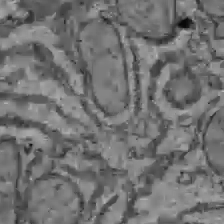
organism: C57BL Mouse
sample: Liver